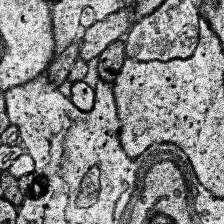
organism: Human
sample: Temporal Lobe